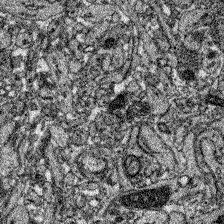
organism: Zebrafish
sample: Larval olfactory bulb